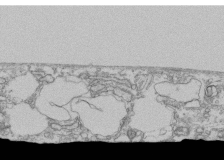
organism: Human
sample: Fibroblast cells